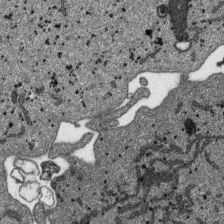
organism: Human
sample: Lung epithelial cells infected with SARS-CoV-2